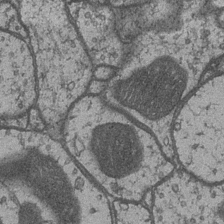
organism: Drosophila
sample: Optic medulla